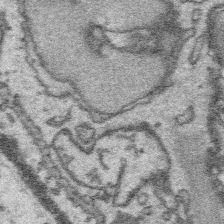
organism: Platynereis dumerilii